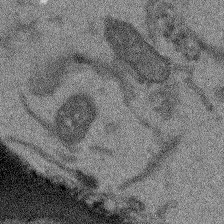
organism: Arabidopsis thaliana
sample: Root tip